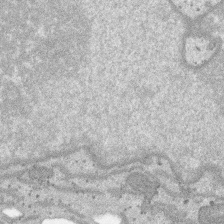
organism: Human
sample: Lung epithelial cells infected with SARS-CoV-2